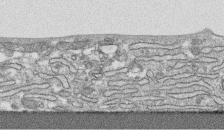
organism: Human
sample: CRL-1474